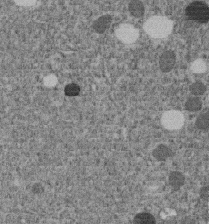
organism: C. elegans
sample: C. elegans embryo early stage